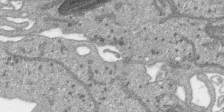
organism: Human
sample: Lung epithelial cells infected with SARS-CoV-2